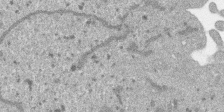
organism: Human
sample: Lung epithelial cells infected with SARS-CoV-2